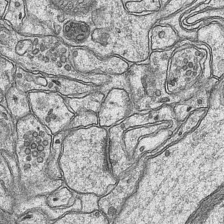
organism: Mouse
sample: CA1 Hippocampus